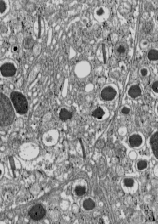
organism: C57BL Mouse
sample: Pancreatic islet